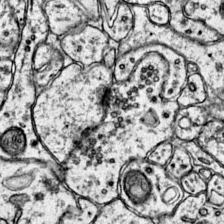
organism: Mouse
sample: Primary visual cortex